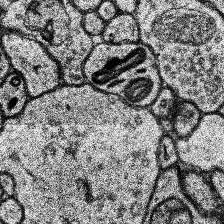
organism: Human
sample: Temporal Lobe